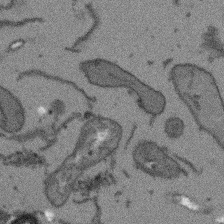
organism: Arabidopsis thaliana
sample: Root tip